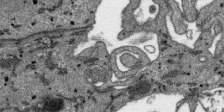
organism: Human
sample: Lung epithelial cells, uninfected (mock) control